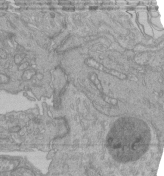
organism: Human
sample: Retinal organoid Rod and Cone cells